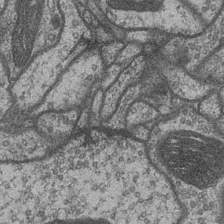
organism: Drosophila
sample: Optic medulla